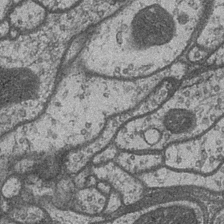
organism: Drosophila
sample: Optic medulla